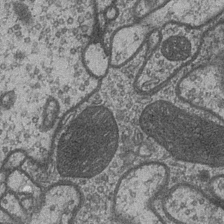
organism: Drosophila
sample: Optic medulla